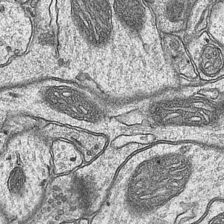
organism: Mouse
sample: CA1 Hippocampus